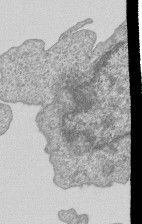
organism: Human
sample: MDA-MB-231 cells